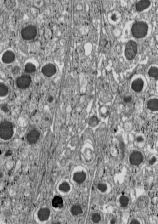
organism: C57BL Mouse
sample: Pancreatic islet